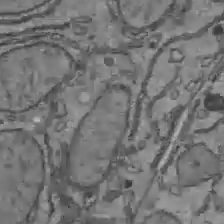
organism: C57BL Mouse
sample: Liver